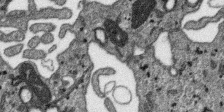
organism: Human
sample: Lung epithelial cells infected with SARS-CoV-2